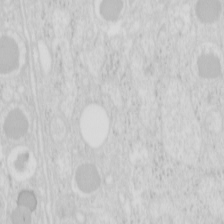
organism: Mouse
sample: Pancreas